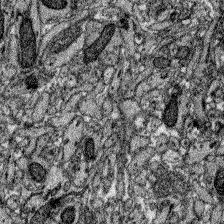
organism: Zebrafish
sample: Larval olfactory bulb